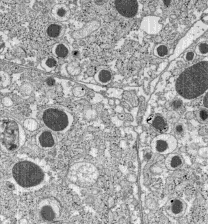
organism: C57BL Mouse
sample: Pancreatic islet